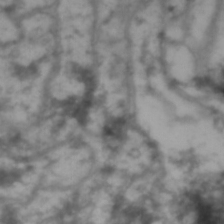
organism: Drosophila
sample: Brain